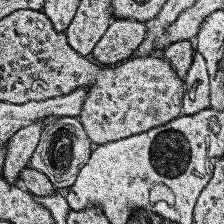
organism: Human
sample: Temporal Lobe